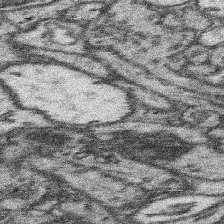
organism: Mouse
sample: Somatosensory cortex neuropil